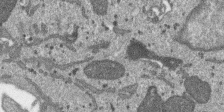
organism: Human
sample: Lung epithelial cells infected with SARS-CoV-2